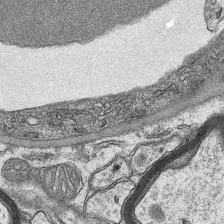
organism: Mouse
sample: CA1 Hippocampus